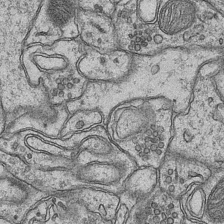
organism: Mouse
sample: CA1 Hippocampus